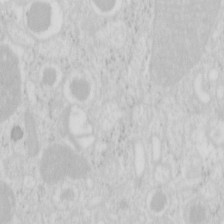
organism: Mouse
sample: Pancreas